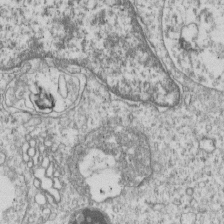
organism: Human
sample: MDA-MB-231 cells